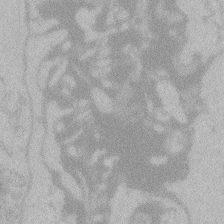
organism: Zebrafish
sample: Macrophage infected with Toxoplasma gondii